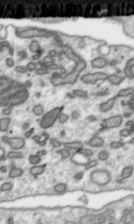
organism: Toxoplasma gondii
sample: Parasites in a vacuole inside a host cell